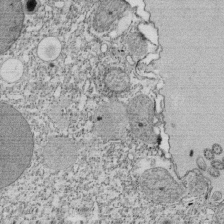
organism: Tetrahymena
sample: Cilia in tetrahymena